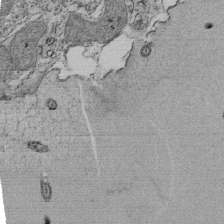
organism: Tetrahymena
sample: Cilia in tetrahymena